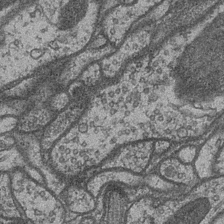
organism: Drosophila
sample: Optic medulla